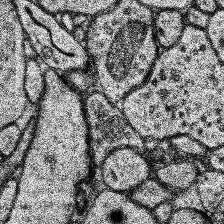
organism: Human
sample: Temporal Lobe